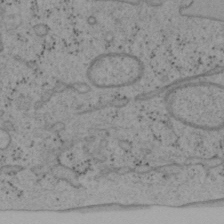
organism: Human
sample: HeLa cells